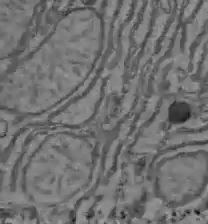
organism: C57BL Mouse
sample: Liver